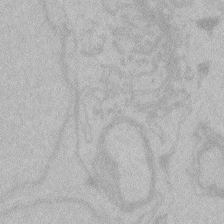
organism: Zebrafish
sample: Macrophage infected with Toxoplasma gondii